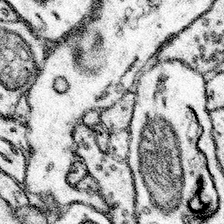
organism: Mouse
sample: Somatosensory cortex neuropil